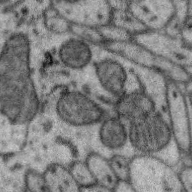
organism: Zebra finch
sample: Brain